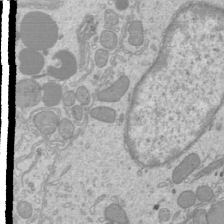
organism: Mouse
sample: Cilia; mouse epididymis